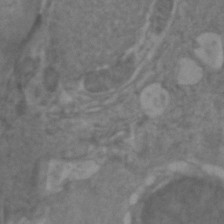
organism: Zebrafish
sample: Zebrafish embryo